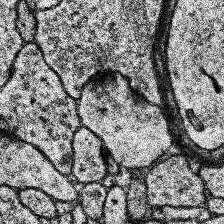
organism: Human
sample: Temporal Lobe